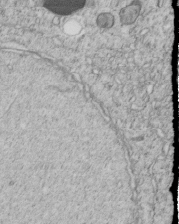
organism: C. elegans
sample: C. elegans embryo early stage